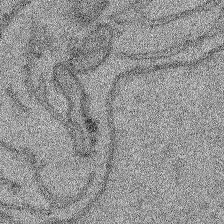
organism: Human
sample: HeLa cells